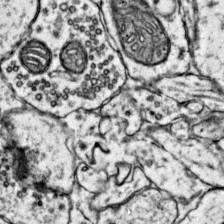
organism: Mouse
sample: Primary visual cortex